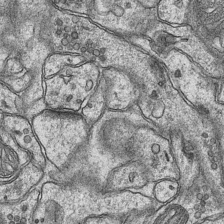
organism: Mouse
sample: CA1 Hippocampus